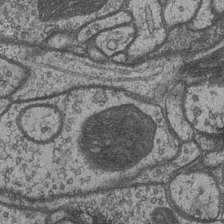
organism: Drosophila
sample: Optic medulla